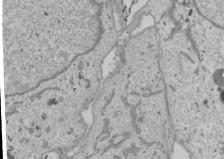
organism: Human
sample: Mitochondria in U2OS cells